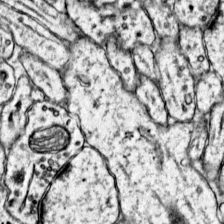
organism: Mouse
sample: Primary visual cortex